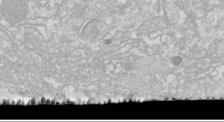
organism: Drosophila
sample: Cell division; meiosis; drosophila spermatocytes